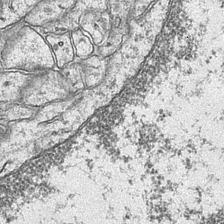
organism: Mouse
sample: CA1 Hippocampus